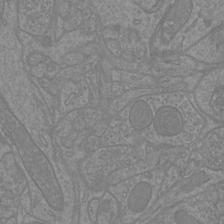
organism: Mouse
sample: Cortical neurons